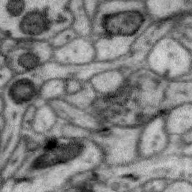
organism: Zebra finch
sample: Brain